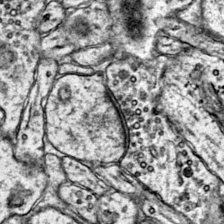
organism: Mouse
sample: Primary visual cortex